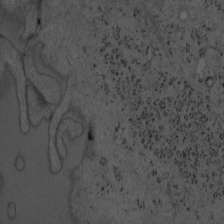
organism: Mouse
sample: OT-I killer T cells with ID8 ovarian cancer cells